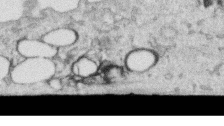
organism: Human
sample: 1205lu cells